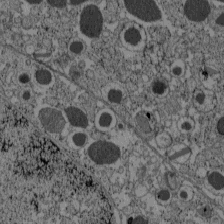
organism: C57BL Mouse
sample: Pancreatic islet